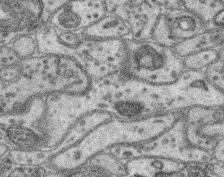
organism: Mouse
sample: Retina